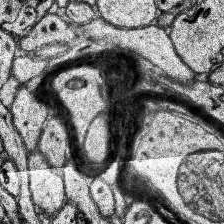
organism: Human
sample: Temporal Lobe